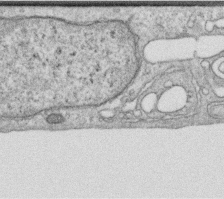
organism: Human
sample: Centriole in RPE cells